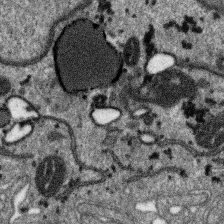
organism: Human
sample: Lung epithelial cells infected with SARS-CoV-2